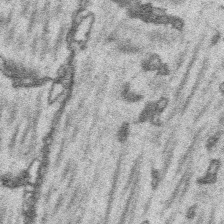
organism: Platynereis dumerilii